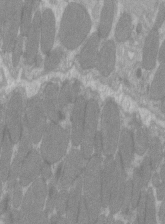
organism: C57BL Mouse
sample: Tibialis anterior muscle cell